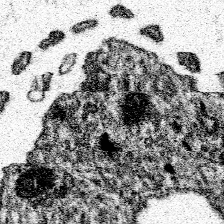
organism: Spongilla lacustris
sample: Neuroid cell